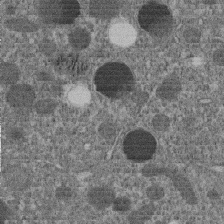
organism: C. elegans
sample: C. elegans embryo early stage